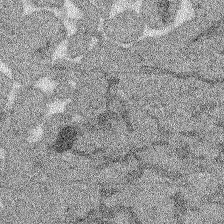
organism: Human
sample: HeLa cells